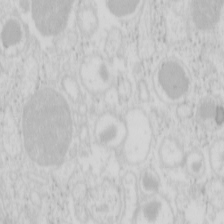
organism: Mouse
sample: Pancreas